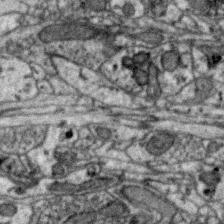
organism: Zebra finch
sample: Brain